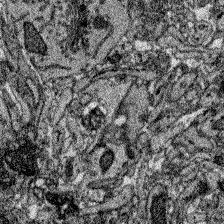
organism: Zebrafish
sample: Larval olfactory bulb